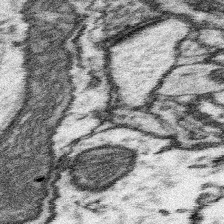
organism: Mouse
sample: Somatosensory cortex neuropil